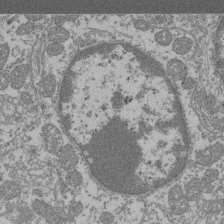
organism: Mouse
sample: Glomerulus